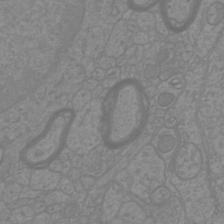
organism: Mouse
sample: Cortical neurons